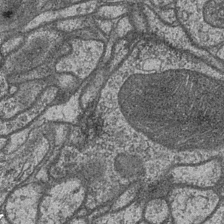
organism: Drosophila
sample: Optic medulla